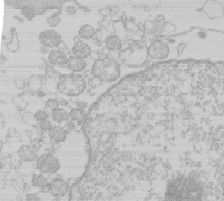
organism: Human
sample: Macrophage cells